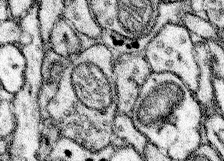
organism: Mouse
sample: Somatosensory cortex neuropil